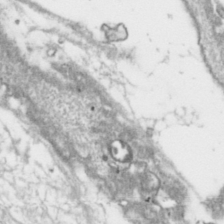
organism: Toxoplasma gondii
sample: Parasites in a vacuole inside a host cell